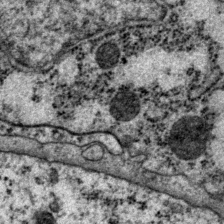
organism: P. pacificus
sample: Pharynx